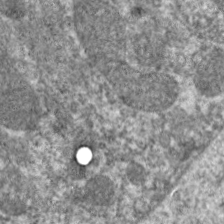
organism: C. elegans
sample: Pharynx